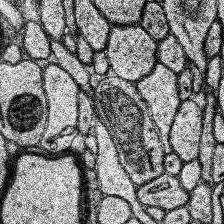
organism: Human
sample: Temporal Lobe